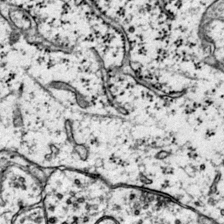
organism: Mouse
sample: Primary visual cortex